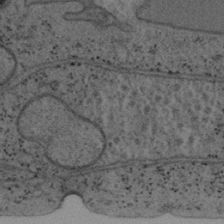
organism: Human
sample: HeLa cells